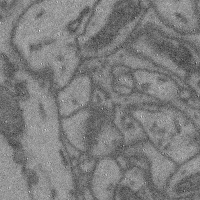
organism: Mouse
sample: Cerebral cortex